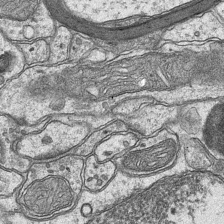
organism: Mouse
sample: CA1 Hippocampus